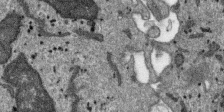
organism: Human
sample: Lung epithelial cells, uninfected (mock) control